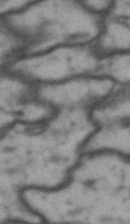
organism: Drosophila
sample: Brain